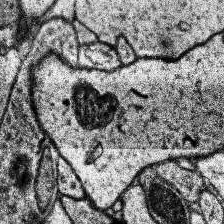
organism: Human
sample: Temporal Lobe